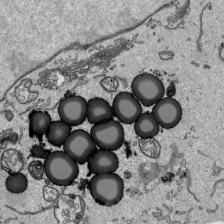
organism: Human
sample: Mitochondria in HCT116 cells